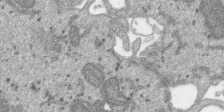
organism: Human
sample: Lung epithelial cells infected with SARS-CoV-2